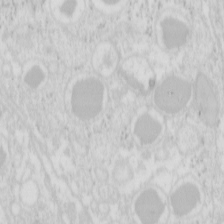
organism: Mouse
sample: Pancreas